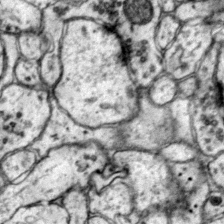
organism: Mouse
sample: Primary visual cortex